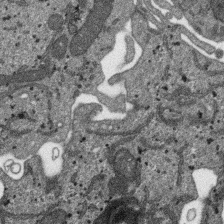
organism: Human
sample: Lung epithelial cells infected with SARS-CoV-2